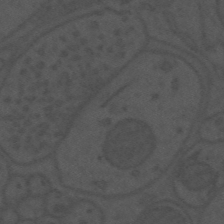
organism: Mouse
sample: Suprachiasmatic nucleus